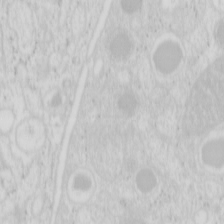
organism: Mouse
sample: Pancreas